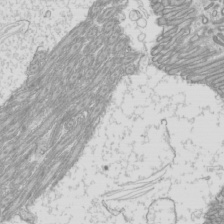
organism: Mouse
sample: Cilia; mouse epididymis